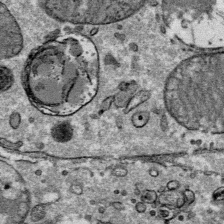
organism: Mouse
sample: Mouse Salivary gland